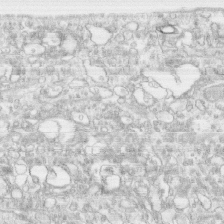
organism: Human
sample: CRL-1474